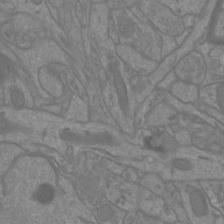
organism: Mouse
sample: Cortical neurons